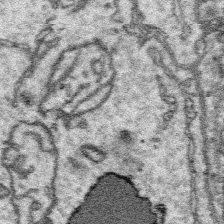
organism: Platynereis dumerilii